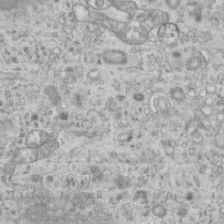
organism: Mouse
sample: Centriole in ependymal cells